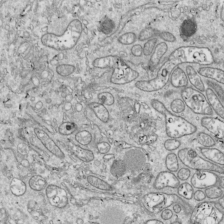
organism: Drosophila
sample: Cell division; meiosis; drosophila spermatocytes